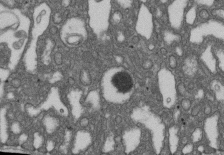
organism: Drosophila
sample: Nephrocyte